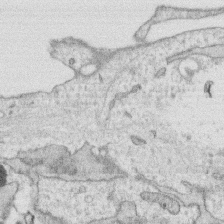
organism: Human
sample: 1205lu cells